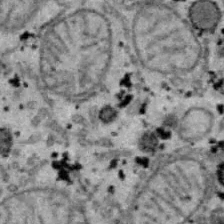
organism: Mouse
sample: Liver from an obese (ob/ob) mouse